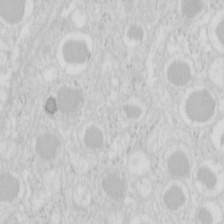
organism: Mouse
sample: Pancreas